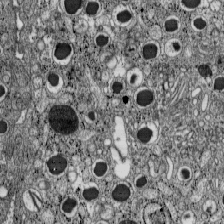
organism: C57BL Mouse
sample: Pancreatic islet